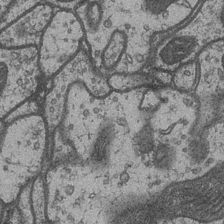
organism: Drosophila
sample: Optic medulla